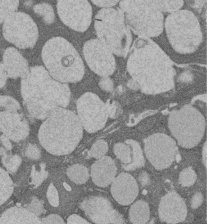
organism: Rat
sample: Salivary granule